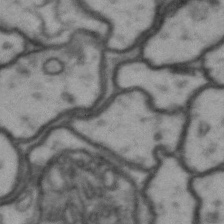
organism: Drosophila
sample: Brain